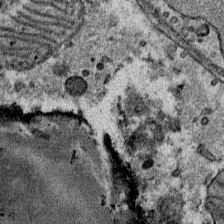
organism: Mouse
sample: Mouse Salivary gland